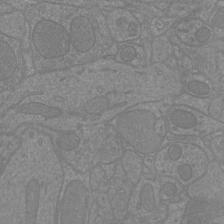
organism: Mouse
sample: Cortical neurons